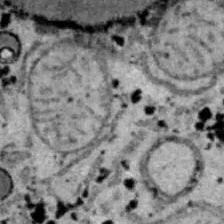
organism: Mouse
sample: Liver from an obese (ob/ob) mouse